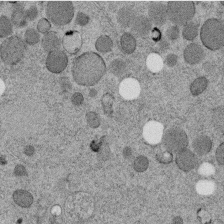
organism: C. elegans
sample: C. elegans embryo early stage